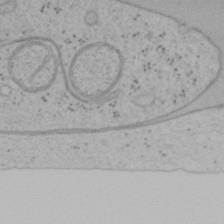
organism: Human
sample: HeLa cells